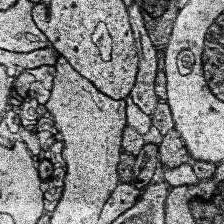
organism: Human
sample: Temporal Lobe